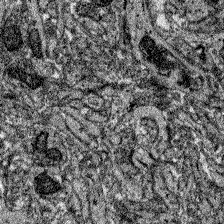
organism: Zebrafish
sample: Larval olfactory bulb